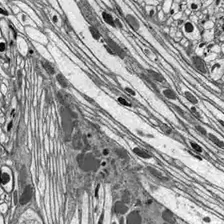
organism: Drosophila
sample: Optic lobe